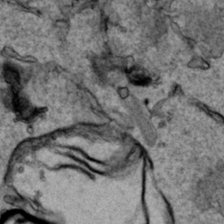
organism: Human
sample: Mitochondria in HCT116 cells